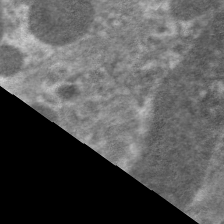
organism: C. elegans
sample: Pharynx